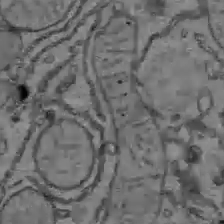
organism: C57BL Mouse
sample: Liver